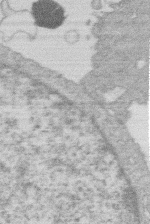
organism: Human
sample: Macrophage cells